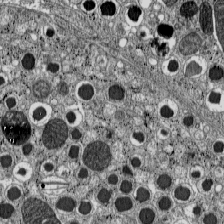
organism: C57BL Mouse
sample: Pancreatic islet